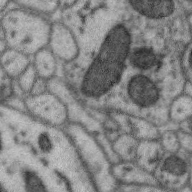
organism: Zebra finch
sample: Brain